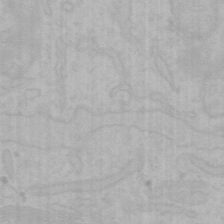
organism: Mouse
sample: Choroid plexus